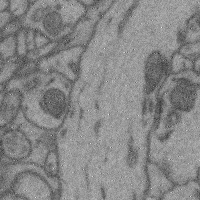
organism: Mouse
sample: Cerebral cortex